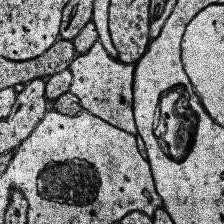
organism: Human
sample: Temporal Lobe